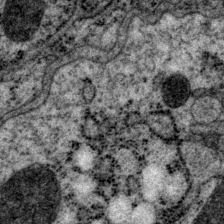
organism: P. pacificus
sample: Pharynx